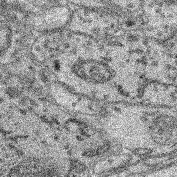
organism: Mouse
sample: Retina